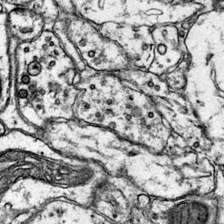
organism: Mouse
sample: Primary visual cortex